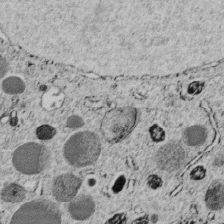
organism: C. elegans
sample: C. elegans embryo early stage